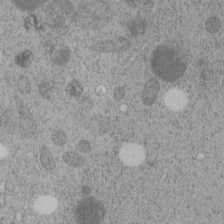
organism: C. elegans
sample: C. elegans embryo early stage